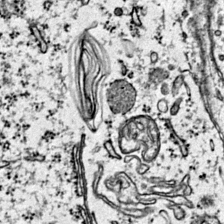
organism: Mouse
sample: Primary visual cortex